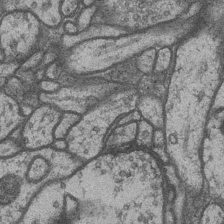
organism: Drosophila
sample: Optic medulla